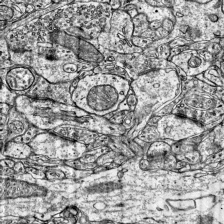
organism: Mouse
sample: Visual Cortex